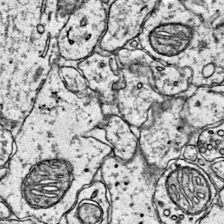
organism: Mouse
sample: Primary visual cortex